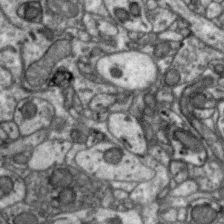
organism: Zebra finch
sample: Brain